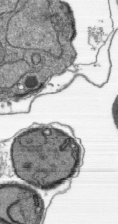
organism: Plasmodium falciparum